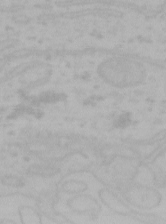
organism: Mouse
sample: Choroid plexus